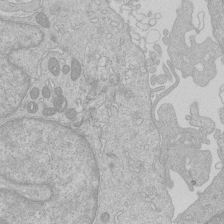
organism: Human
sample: Macrophage cells